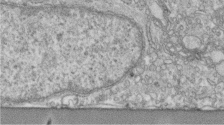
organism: Human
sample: Centriole in fibroblast cells